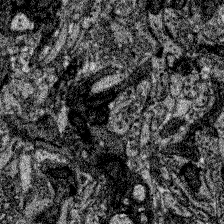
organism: Zebrafish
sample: Larval olfactory bulb